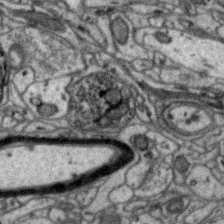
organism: Zebra finch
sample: Brain